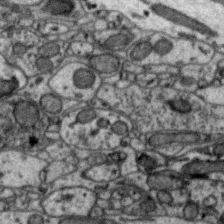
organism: Zebra finch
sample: Brain